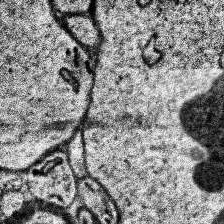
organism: Human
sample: Temporal Lobe